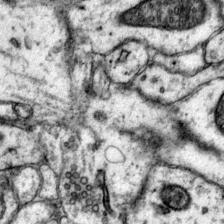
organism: Mouse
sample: Primary visual cortex